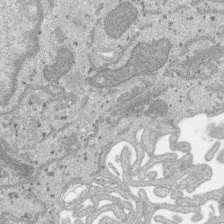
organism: Human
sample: Lung epithelial cells infected with SARS-CoV-2